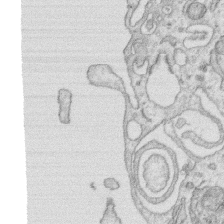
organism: Human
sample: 1205lu cells